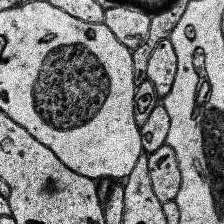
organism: Human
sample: Temporal Lobe